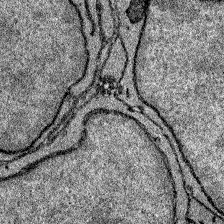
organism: Zebrafish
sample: Larval olfactory bulb